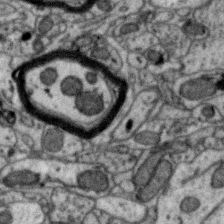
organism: Zebra finch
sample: Brain